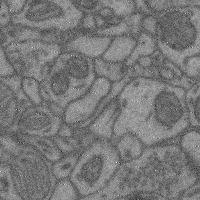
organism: Mouse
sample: Cerebral cortex